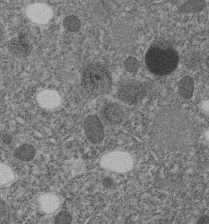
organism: C. elegans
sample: C. elegans embryo early stage